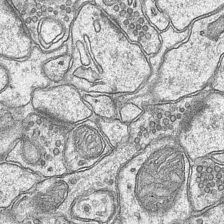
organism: Mouse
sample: CA1 Hippocampus